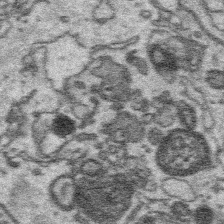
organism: Platynereis dumerilii